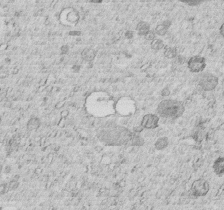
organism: C. elegans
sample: C. elegans embryo early stage